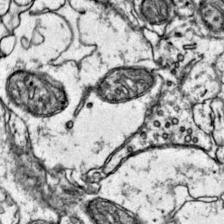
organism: Mouse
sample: Primary visual cortex